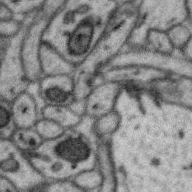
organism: Zebra finch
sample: Brain